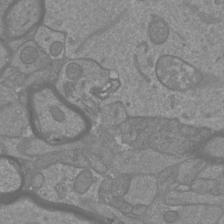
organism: Mouse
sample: Cortical neurons